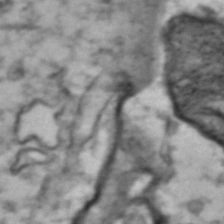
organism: Drosophila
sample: Brain